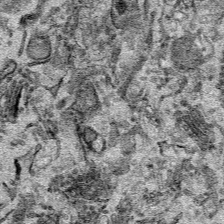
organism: Mouse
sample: Cancer cell death in ED-1 cells